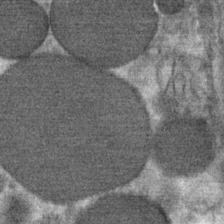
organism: Mouse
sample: Mouse Salivary gland